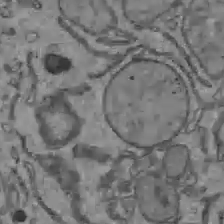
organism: C57BL Mouse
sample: Liver